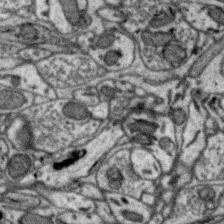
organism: Zebra finch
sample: Brain